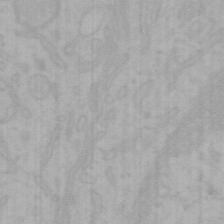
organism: Mouse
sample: Choroid plexus